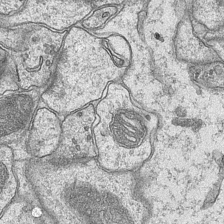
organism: Mouse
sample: CA1 Hippocampus